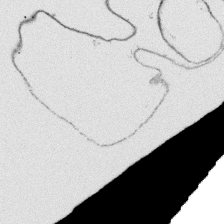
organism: Platynereis dumerilii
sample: Parapodia